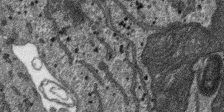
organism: Human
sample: Lung epithelial cells infected with SARS-CoV-2